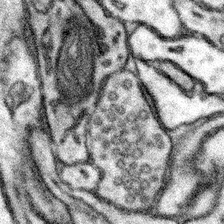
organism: Mouse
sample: Somatosensory cortex neuropil